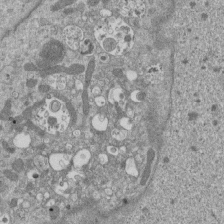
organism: Mouse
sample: ED-1 cell nuclei; centrioles